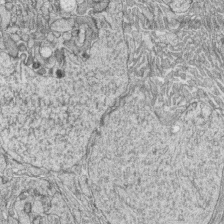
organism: Zebrafish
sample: synaptic ribbons in rod cells and cone cells